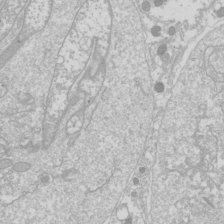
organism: Drosophila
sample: Cell division; meiosis; drosophila spermatocytes